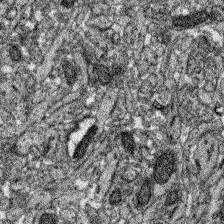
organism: Zebrafish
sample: Larval olfactory bulb